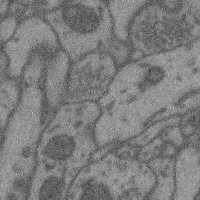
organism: Mouse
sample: Cerebral cortex